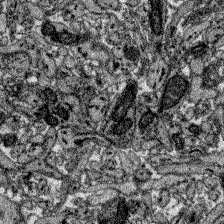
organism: Zebrafish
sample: Larval olfactory bulb